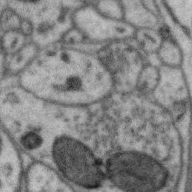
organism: Zebra finch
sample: Brain